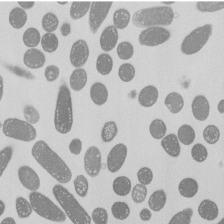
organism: E. coli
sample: Bacterial nucleoid